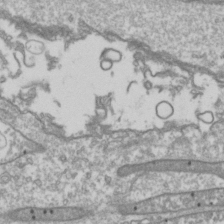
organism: Drosophila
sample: Cell division; meiosis; drosophila spermatocytes